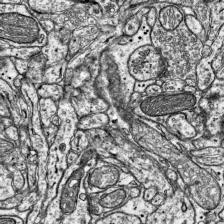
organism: Mouse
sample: Visual Cortex